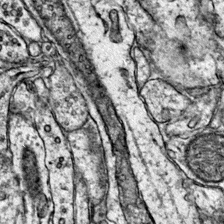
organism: Mouse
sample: Primary visual cortex